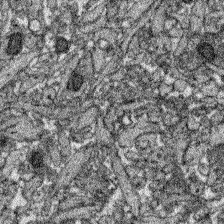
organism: Zebrafish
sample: Larval olfactory bulb